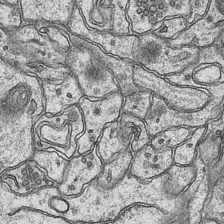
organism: Mouse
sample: CA1 Hippocampus